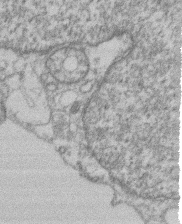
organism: Mouse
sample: T cell stromal cell synapse